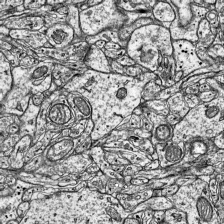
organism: Mouse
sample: Visual Cortex